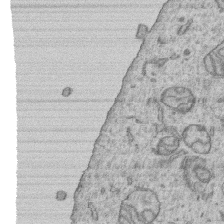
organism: Human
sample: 1205lu cells